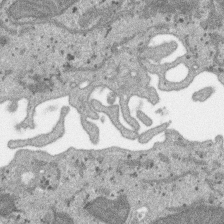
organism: Human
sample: Lung epithelial cells infected with SARS-CoV-2